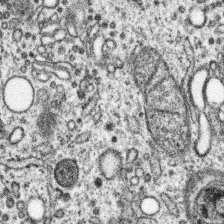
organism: Human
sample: HeLa cells